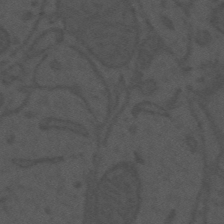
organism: Mouse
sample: Suprachiasmatic nucleus